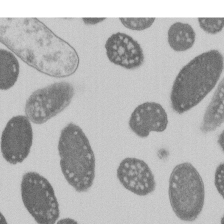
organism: E. coli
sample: Bacterial nucleoid